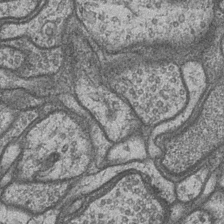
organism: Drosophila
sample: Optic medulla